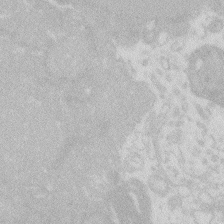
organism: Zebrafish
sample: Macrophage